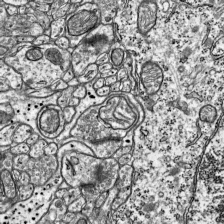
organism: Mouse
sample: Visual Cortex